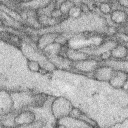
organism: Rabbit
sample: Retina